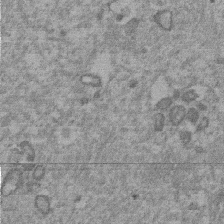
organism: Mouse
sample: Dividing mouse embryo 1 cell stage